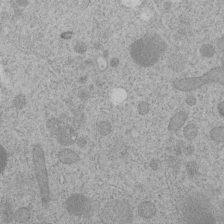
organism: C. elegans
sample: C. elegans embryo early stage